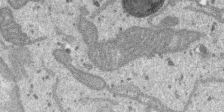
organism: Human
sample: Lung epithelial cells infected with SARS-CoV-2